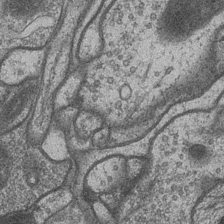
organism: Drosophila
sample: Optic medulla